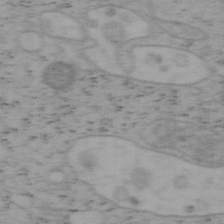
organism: Mouse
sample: OT-I killer T cells with ID8 ovarian cancer cells